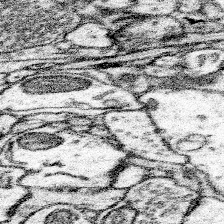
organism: Mouse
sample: Somatosensory cortex neuropil